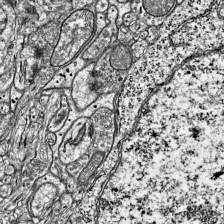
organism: Mouse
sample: Visual Cortex